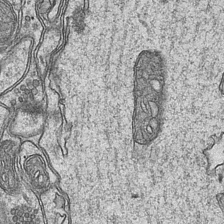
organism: Mouse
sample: CA1 Hippocampus